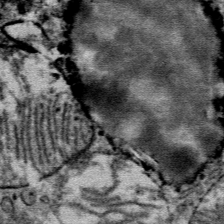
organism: Mouse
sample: Mouse Salivary gland